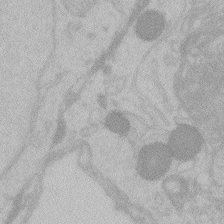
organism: Zebrafish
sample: Macrophage infected with Toxoplasma gondii